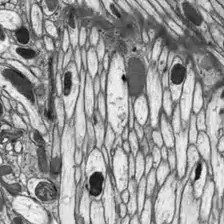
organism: Drosophila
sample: Optic lobe